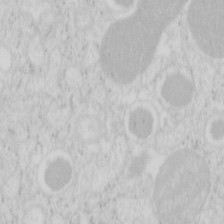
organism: Mouse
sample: Pancreas